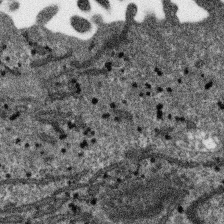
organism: Human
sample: Lung epithelial cells infected with SARS-CoV-2